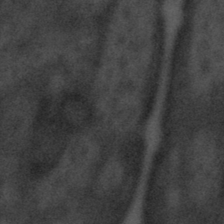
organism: Tuwongella immobilis